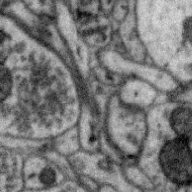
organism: Zebra finch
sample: Brain